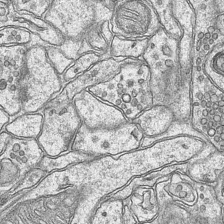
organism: Mouse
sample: CA1 Hippocampus